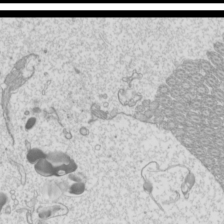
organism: Mouse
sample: Cilia; mouse epididymis